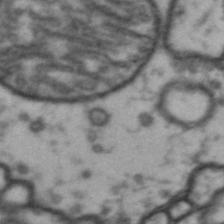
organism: Drosophila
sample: Brain